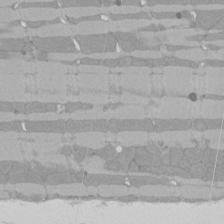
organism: Rat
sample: Left ventricle